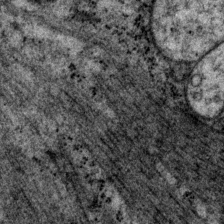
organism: P. pacificus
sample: Pharynx